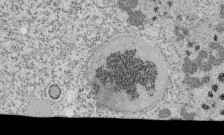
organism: Tetrahymena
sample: Cilia in tetrahymena